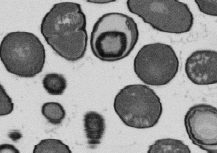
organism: B. subtilis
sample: Bacterial spore